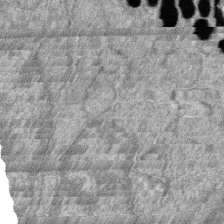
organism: Zebrafish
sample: Cilia; retinal pigment epithelium